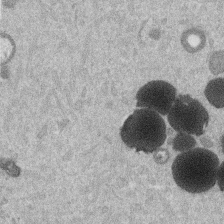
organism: Mouse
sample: Dividing mouse embryo 1 cell stage